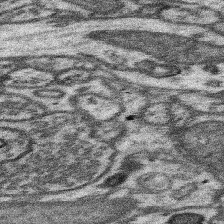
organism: Mouse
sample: Somatosensory cortex neuropil